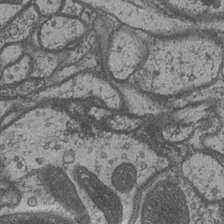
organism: Drosophila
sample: Optic medulla